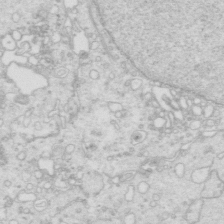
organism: Mouse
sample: Multiciliated cells